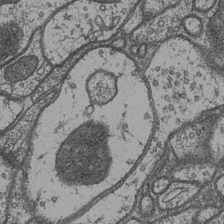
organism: Drosophila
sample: Optic medulla